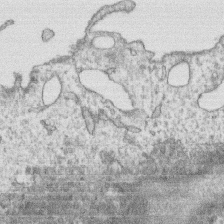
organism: Human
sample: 1205lu cells